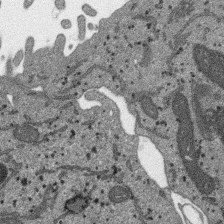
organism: Human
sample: Lung epithelial cells infected with SARS-CoV-2